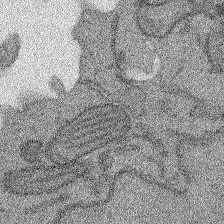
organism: Human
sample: HeLa cells